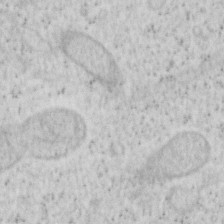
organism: Human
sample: HeLa cells